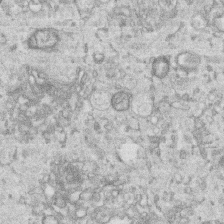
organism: Human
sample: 1205lu cells